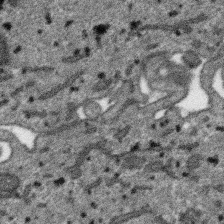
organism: Human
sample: Lung epithelial cells infected with SARS-CoV-2